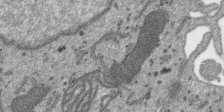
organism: Human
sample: Lung epithelial cells infected with SARS-CoV-2